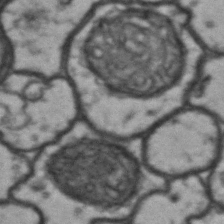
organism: Drosophila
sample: Brain